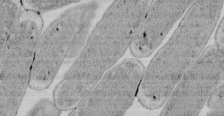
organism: E. coli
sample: Bacterial nucleoid